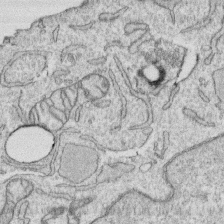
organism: Human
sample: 1205lu cells